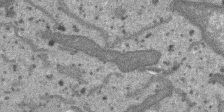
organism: Human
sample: Lung epithelial cells infected with SARS-CoV-2